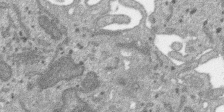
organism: Human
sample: Lung epithelial cells infected with SARS-CoV-2